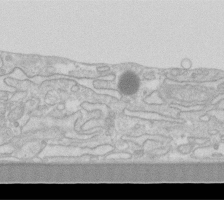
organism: Human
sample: Fibroblast cells